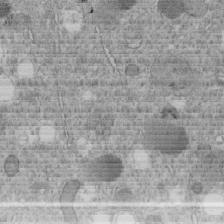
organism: C. elegans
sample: C. elegans embryo early stage